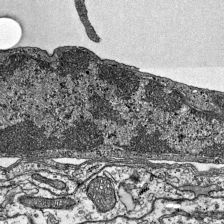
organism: Mouse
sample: Visual Cortex